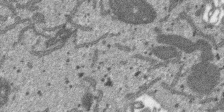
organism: Human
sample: Lung epithelial cells infected with SARS-CoV-2